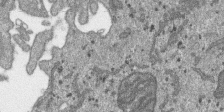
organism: Human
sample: Lung epithelial cells infected with SARS-CoV-2